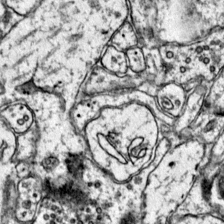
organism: Mouse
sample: Primary visual cortex